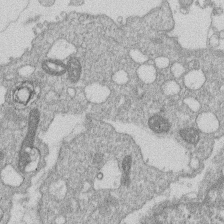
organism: Human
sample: Macrophage cells